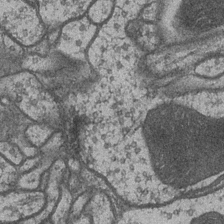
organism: Drosophila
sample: Optic medulla